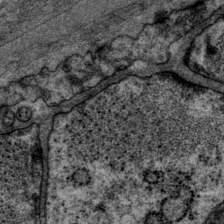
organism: P. pacificus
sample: Pharynx